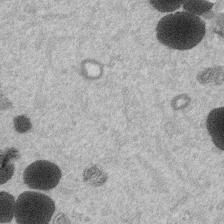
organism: Mouse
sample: Dividing mouse embryo 1 cell stage